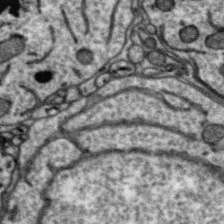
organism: Zebra finch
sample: Brain